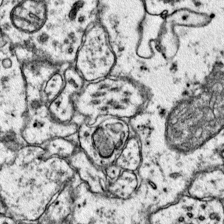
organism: Mouse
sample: Primary visual cortex